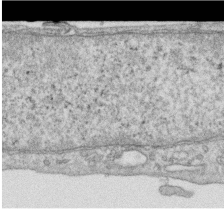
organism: Human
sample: Centriole in RPE cells